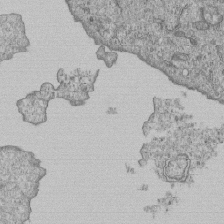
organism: Human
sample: MDA-MB-231 cells